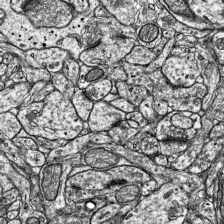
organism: Mouse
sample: Visual Cortex